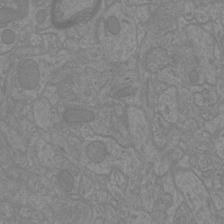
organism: Mouse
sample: Cortical neurons